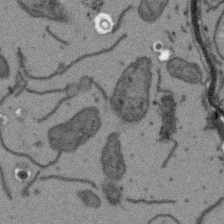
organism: Arabidopsis thaliana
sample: Root tip